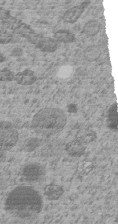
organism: C. elegans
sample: C. elegans embryo early stage